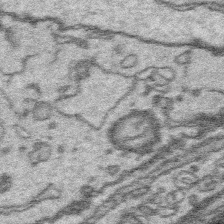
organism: Platynereis dumerilii